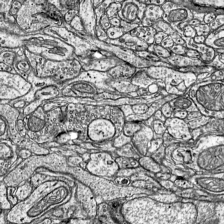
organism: Mouse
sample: Visual Cortex